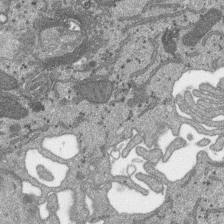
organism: Human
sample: Lung epithelial cells infected with SARS-CoV-2